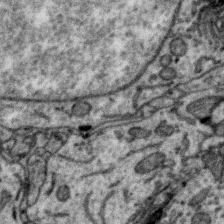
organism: Zebra finch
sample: Brain